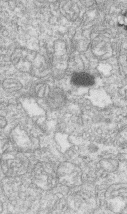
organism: Human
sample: HeLa cell HIV synapse